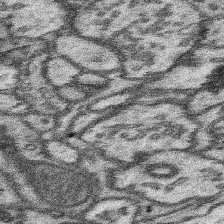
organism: Mouse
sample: Somatosensory cortex neuropil